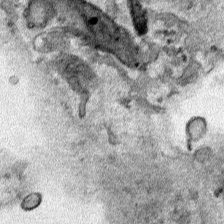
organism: Human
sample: Mitochondria in HCT116 cells